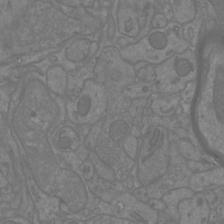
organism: Mouse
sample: Cortical neurons